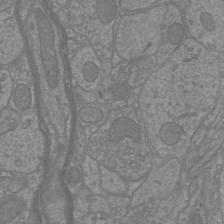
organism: Mouse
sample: Cortical neurons